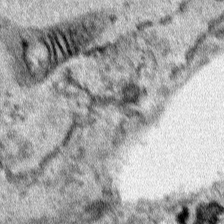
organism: Human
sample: Mitochondria in HCT116 cells